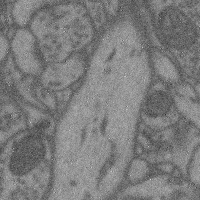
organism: Mouse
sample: Cerebral cortex